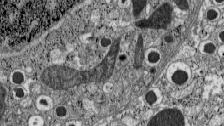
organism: C57BL Mouse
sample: Pancreatic islet